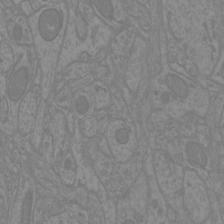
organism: Mouse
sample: Cortical neurons